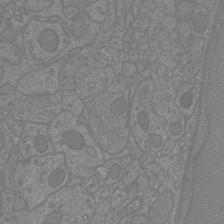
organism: Mouse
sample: Cortical neurons